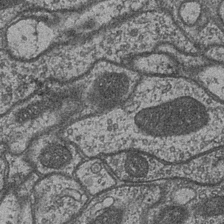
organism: Drosophila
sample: Optic medulla